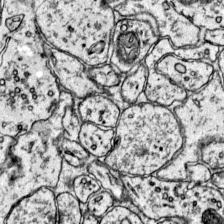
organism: Mouse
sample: Primary visual cortex